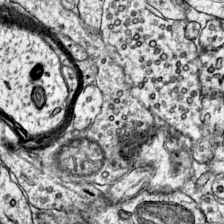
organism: Mouse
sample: Primary visual cortex